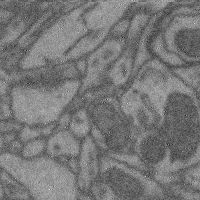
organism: Mouse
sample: Cerebral cortex